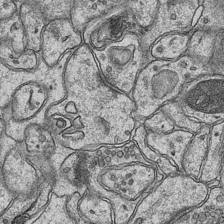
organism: Mouse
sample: CA1 Hippocampus